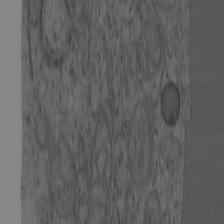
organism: Human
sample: HeLa cells